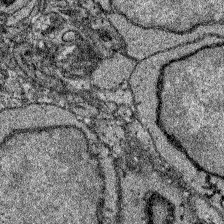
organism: Zebrafish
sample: Larval olfactory bulb